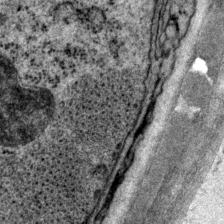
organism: P. pacificus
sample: Pharynx